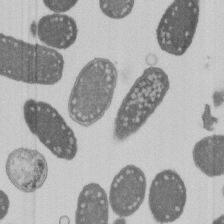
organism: E. coli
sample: Bacterial nucleoid